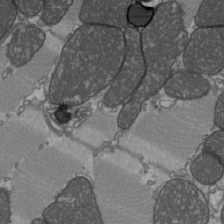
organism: C57BL Mouse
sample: Heart